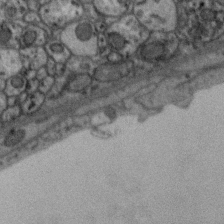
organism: Zebra finch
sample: Brain